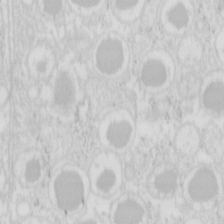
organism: Mouse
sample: Pancreas